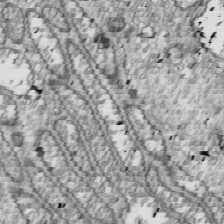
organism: Drosophila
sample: Cell division; meiosis; drosophila spermatocytes